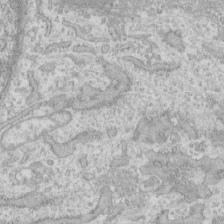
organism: Human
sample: CRL-1474